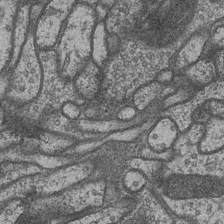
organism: Drosophila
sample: Optic medulla